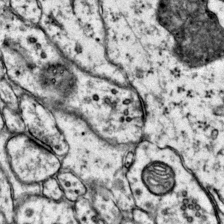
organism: Mouse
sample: Primary visual cortex